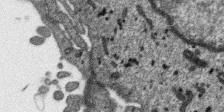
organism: Human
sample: Lung epithelial cells infected with SARS-CoV-2